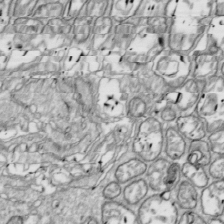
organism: Drosophila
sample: Cell division; meiosis; drosophila spermatocytes